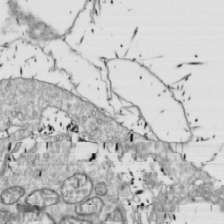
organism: Drosophila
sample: Cell division; meiosis; drosophila spermatocytes